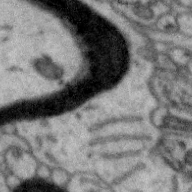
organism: Zebra finch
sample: Brain